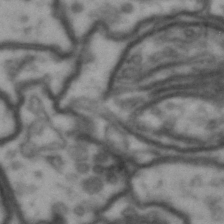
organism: Drosophila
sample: Brain